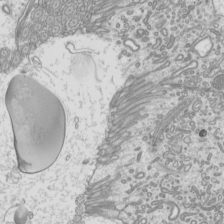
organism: Mouse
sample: Cilia; mouse epididymis